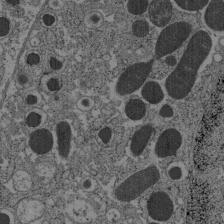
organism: C57BL Mouse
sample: Pancreatic islet